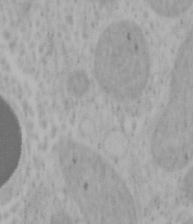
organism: Mouse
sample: OT-I killer T cells with ID8 ovarian cancer cells